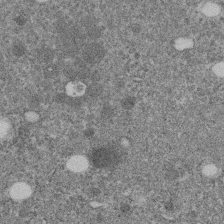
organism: C. elegans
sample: C. elegans embryo early stage